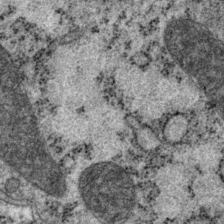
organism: P. pacificus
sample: Pharynx